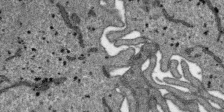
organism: Human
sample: Lung epithelial cells, uninfected (mock) control